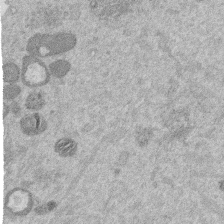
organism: Mouse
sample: Dividing mouse embryo 1 cell stage